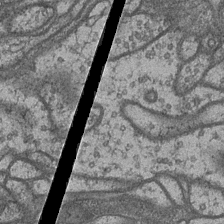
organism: Drosophila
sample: Optic medulla